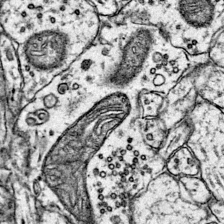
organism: Mouse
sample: Primary visual cortex